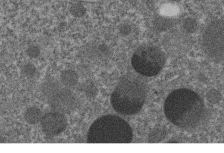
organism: C. elegans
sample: C. elegans embryo early stage